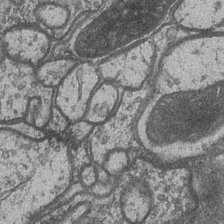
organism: Drosophila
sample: Optic medulla